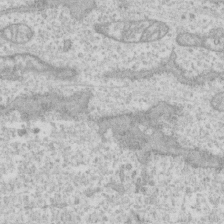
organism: Human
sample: CRL-1474